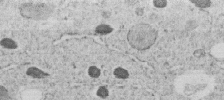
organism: C. elegans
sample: C. elegans embryo early stage